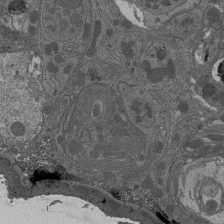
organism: Drosophila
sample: Antenna